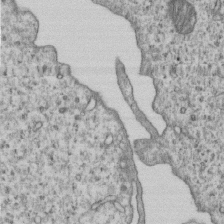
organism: Human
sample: MDA-MB-231 cells